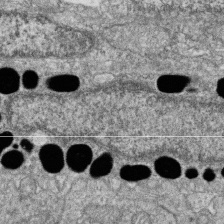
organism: Zebrafish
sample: Cilia; retinal pigment epithelium